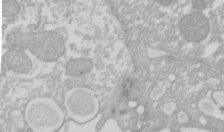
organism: Xenopus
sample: Cilia; centrioles in frog embryo cells